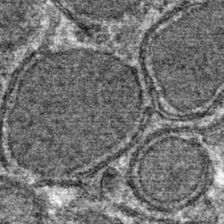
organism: Mouse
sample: Mouse hepatocytes